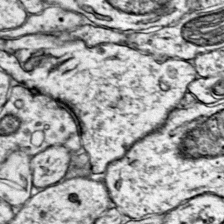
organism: Mouse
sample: Primary visual cortex